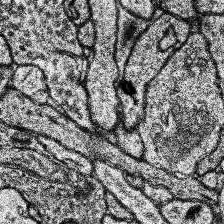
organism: Human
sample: Temporal Lobe